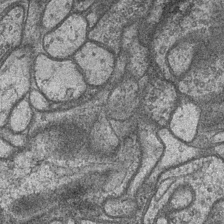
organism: Drosophila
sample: Optic medulla